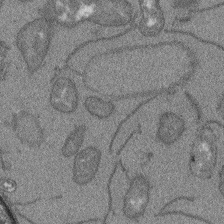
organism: Arabidopsis thaliana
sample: Root tip